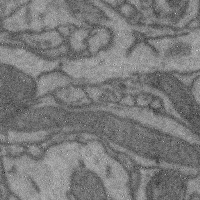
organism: Mouse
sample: Cerebral cortex